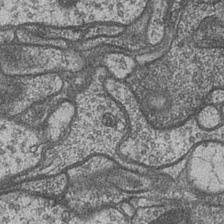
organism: Drosophila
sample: Optic medulla